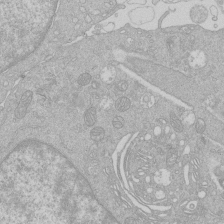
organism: Human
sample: Macrophage cells